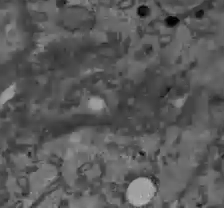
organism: C57BL Mouse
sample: Liver